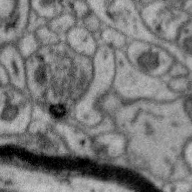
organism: Zebra finch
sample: Brain